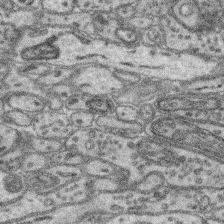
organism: Mouse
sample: Retina